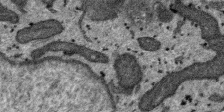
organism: Human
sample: Lung epithelial cells, uninfected (mock) control